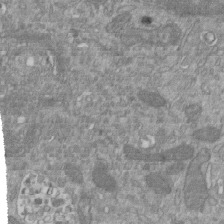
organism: Mouse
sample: ED-1 cell nuclei; centrioles